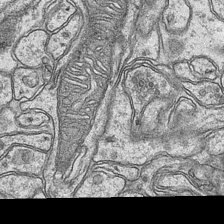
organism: Mouse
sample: CA1 Hippocampus